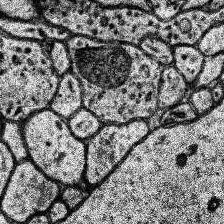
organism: Human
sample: Temporal Lobe